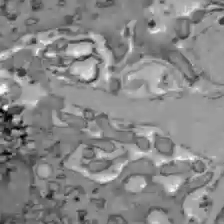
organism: C57BL Mouse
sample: Liver